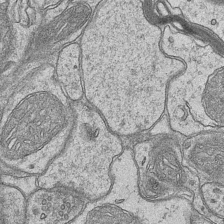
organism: Mouse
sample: CA1 Hippocampus